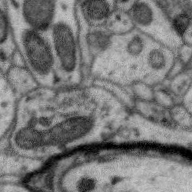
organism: Zebra finch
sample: Brain